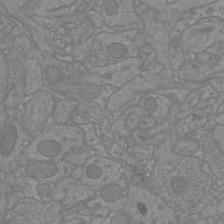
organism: Mouse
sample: Cortical neurons